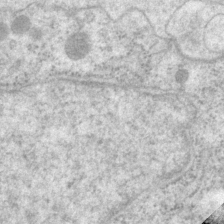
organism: P. pacificus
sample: Pharynx